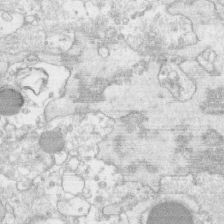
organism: Human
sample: CRL-1474